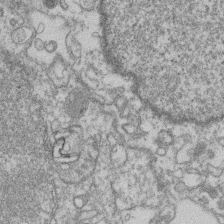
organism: Mouse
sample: T cell stromal cell synapse